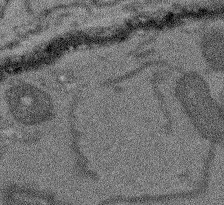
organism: Arabidopsis thaliana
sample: Root tip